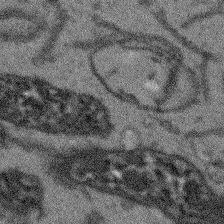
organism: Arabidopsis thaliana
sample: Root tip